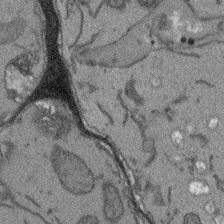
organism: Arabidopsis thaliana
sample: Root tip